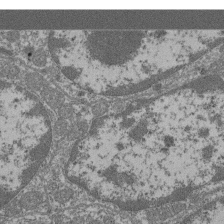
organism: Mouse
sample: Glomerulus